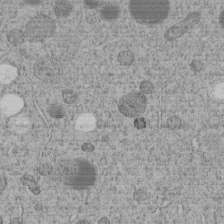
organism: C. elegans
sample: C. elegans embryo early stage